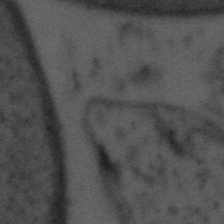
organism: Tuwongella immobilis